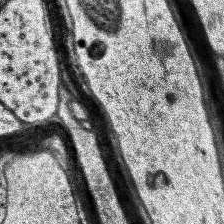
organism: Human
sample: Temporal Lobe